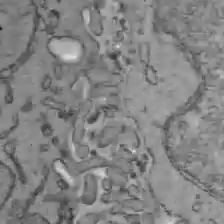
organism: C57BL Mouse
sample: Liver